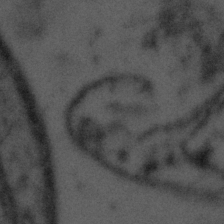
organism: Tuwongella immobilis